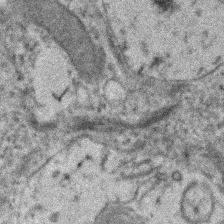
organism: Human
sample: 1205lu cells